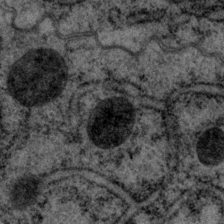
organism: P. pacificus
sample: Pharynx